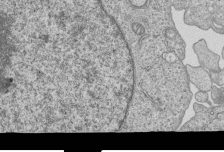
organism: Human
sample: MDA-MB-231 cells